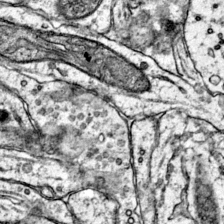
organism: Mouse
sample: Primary visual cortex